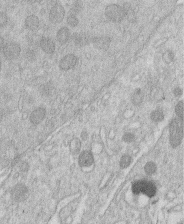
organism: Human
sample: Macrophage cells